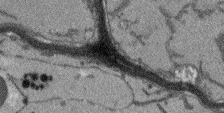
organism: Arabidopsis thaliana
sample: Root tip